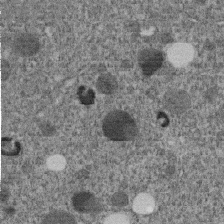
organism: C. elegans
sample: C. elegans embryo early stage